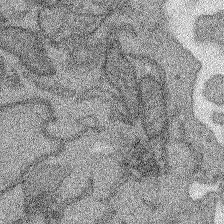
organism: Human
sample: HeLa cells